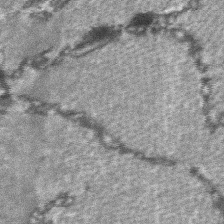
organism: C57BL Mouse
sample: Soleus